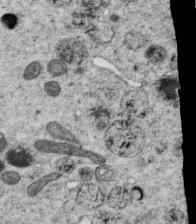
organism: C. elegans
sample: C. elegans oocyte; sperm cells